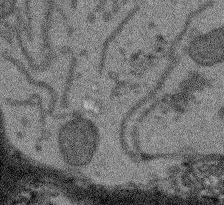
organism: Arabidopsis thaliana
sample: Root tip